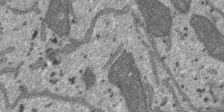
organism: Human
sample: Lung epithelial cells infected with SARS-CoV-2